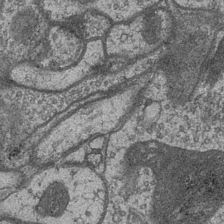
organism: Drosophila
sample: Optic medulla